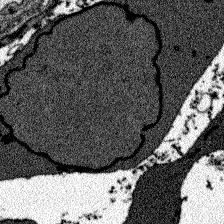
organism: Zebrafish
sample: Larval olfactory bulb